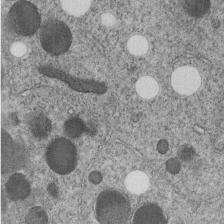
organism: C. elegans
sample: C. elegans embryo early stage